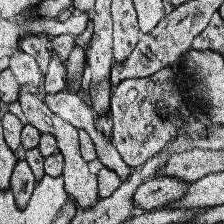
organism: Human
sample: Temporal Lobe